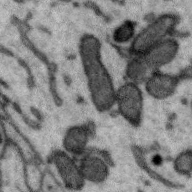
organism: Zebra finch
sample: Brain